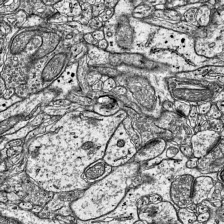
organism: Mouse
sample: Visual Cortex